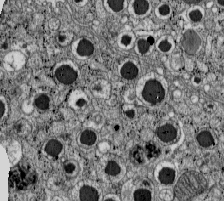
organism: C57BL Mouse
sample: Pancreatic islet